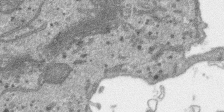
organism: Human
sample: Lung epithelial cells infected with SARS-CoV-2